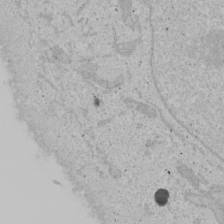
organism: Human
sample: Mitochondria in U2OS cells